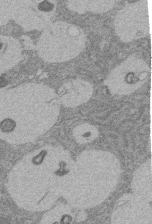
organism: Rat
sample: Salivary granule